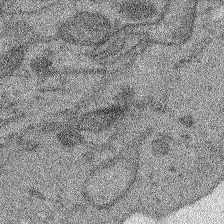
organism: Human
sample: HeLa cells